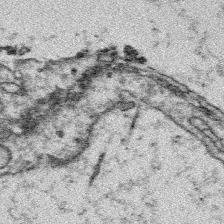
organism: Platynereis dumerilii